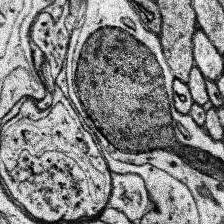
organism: Human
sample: Temporal Lobe